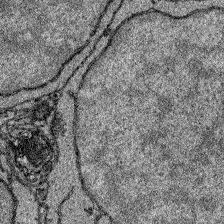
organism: Zebrafish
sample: Larval olfactory bulb